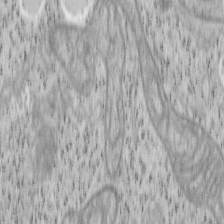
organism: Human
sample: HeLa cells